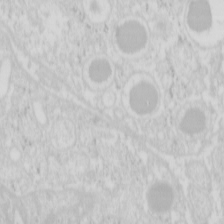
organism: Mouse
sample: Pancreas